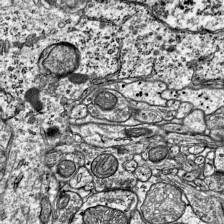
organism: Mouse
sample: Visual Cortex